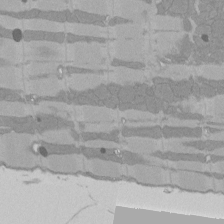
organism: Rat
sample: Left ventricle